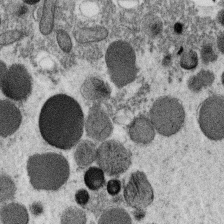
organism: C. elegans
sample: C. elegans oocyte; sperm cells